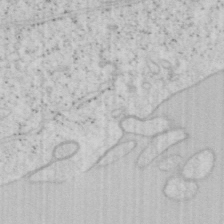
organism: Human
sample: HeLa cells